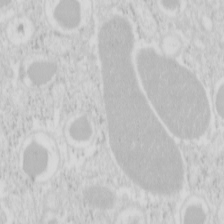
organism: Mouse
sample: Pancreas